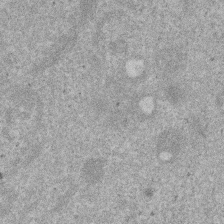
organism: Mouse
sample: Dividing mouse embryo 1 cell stage